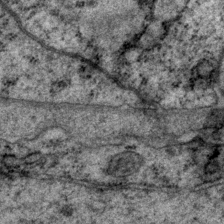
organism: P. pacificus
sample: Pharynx